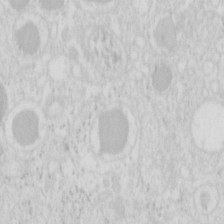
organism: Mouse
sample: Pancreas